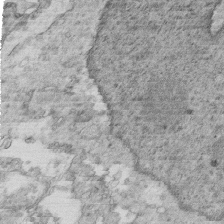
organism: Mouse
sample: Multiciliated cells